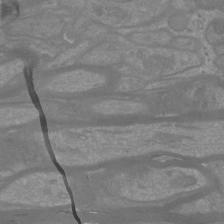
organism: Mouse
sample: Cortical neurons